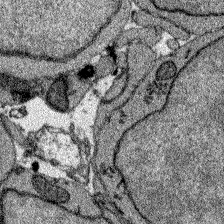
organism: Zebrafish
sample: Larval olfactory bulb